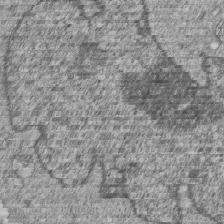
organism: Human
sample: MDA-MB-231 cells